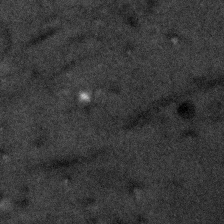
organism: Human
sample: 1205lu cells